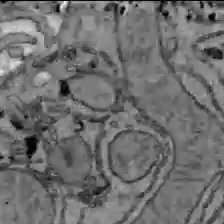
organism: C57BL Mouse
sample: Liver